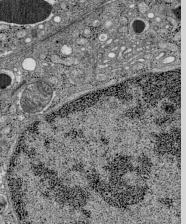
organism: C57BL Mouse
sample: Pancreatic islet